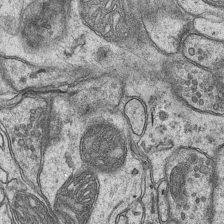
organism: Mouse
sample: CA1 Hippocampus